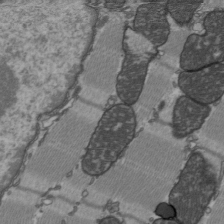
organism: C57BL Mouse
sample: Heart